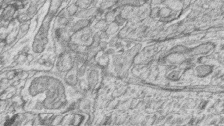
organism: Zebrafish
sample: synaptic ribbons in rod cells and cone cells